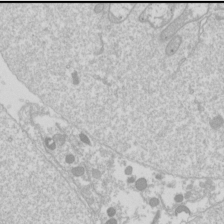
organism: Drosophila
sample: Cell division; meiosis; drosophila spermatocytes